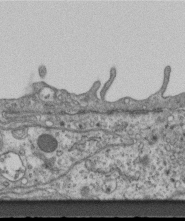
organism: Mouse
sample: Centriole in ependymal cells